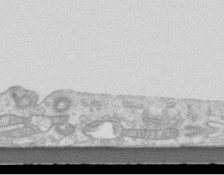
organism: Mouse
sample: Centriole in ependymal cells